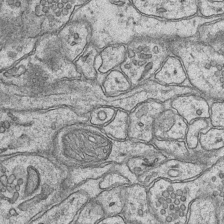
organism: Mouse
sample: CA1 Hippocampus